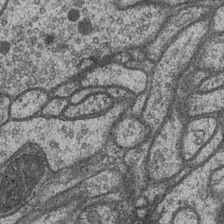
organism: Drosophila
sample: Optic medulla